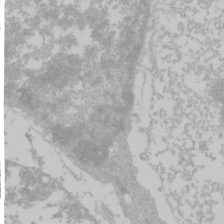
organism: Mouse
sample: Cancer cell death in ED-1 cells